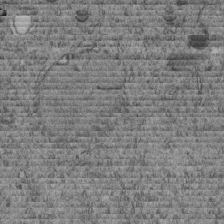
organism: C. elegans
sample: C. elegans embryo early stage